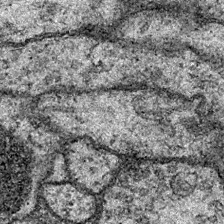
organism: Drosophila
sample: Ventral Nerve Cord